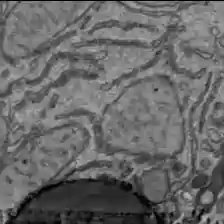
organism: C57BL Mouse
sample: Liver